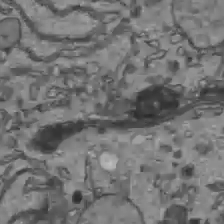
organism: C57BL Mouse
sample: Liver